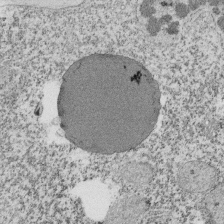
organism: Tetrahymena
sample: Cilia in tetrahymena